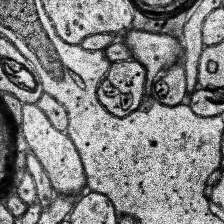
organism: Human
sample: Temporal Lobe